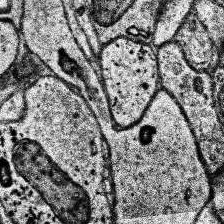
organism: Human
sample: Temporal Lobe